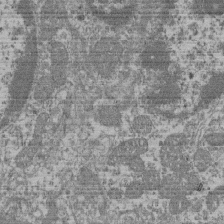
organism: Mouse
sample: Glomerulus